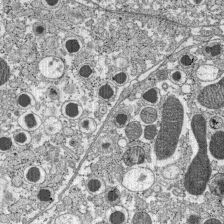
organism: C57BL Mouse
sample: Pancreatic islet